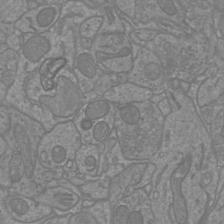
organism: Mouse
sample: Cortical neurons